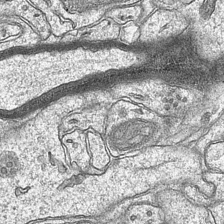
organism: Mouse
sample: CA1 Hippocampus